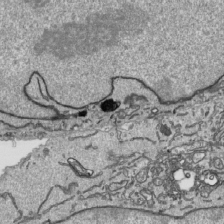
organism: Human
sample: Mitochondria in HCT116 cells